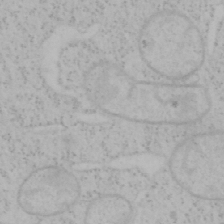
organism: Mouse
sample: OT-I killer T cells with ID8 ovarian cancer cells